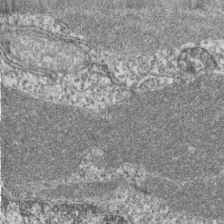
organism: Zebrafish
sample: Cilia; retinal pigment epithelium